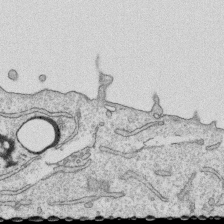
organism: Human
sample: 1205lu cells